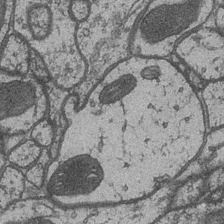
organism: Drosophila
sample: Optic medulla